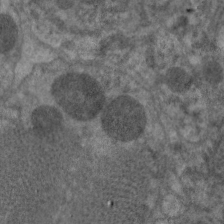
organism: C. elegans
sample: Pharynx